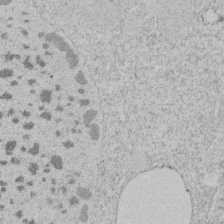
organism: Tetrahymena